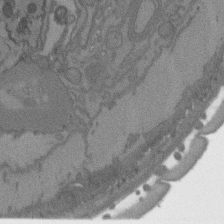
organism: C. elegans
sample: AFD neurons C. elegans